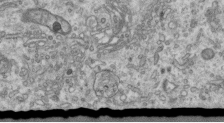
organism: Human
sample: Centriole in RPE cells